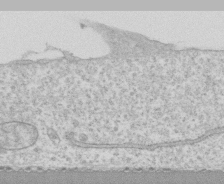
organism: Human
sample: CRL-1474